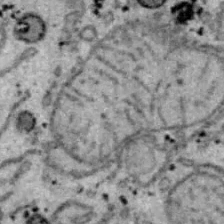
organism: Mouse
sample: Liver from an obese (ob/ob) mouse